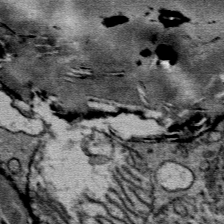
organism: Mouse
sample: Mouse Salivary gland